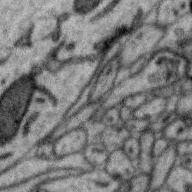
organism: Zebra finch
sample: Brain